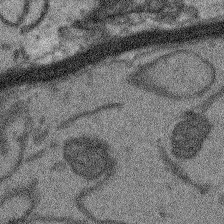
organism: Arabidopsis thaliana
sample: Root tip